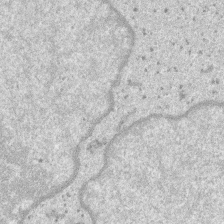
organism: Human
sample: Lung epithelial cells infected with SARS-CoV-2